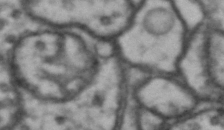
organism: Drosophila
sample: Brain